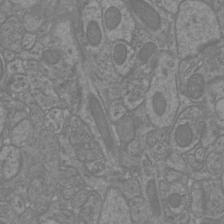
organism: Mouse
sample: Cortical neurons